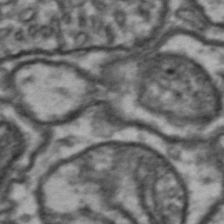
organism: Drosophila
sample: Brain